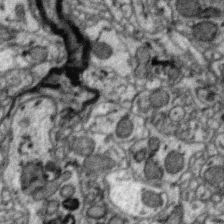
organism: Zebra finch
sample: Brain